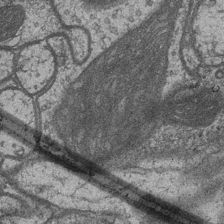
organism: Drosophila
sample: Optic medulla